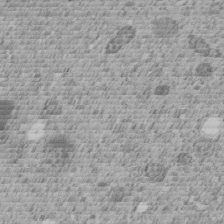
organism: C. elegans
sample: C. elegans embryo early stage